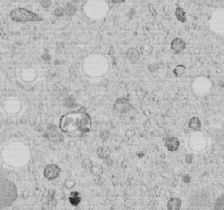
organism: C. elegans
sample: C. elegans embryo early stage